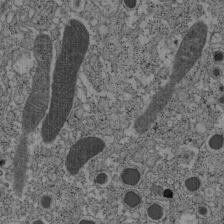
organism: C57BL Mouse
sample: Pancreatic islet